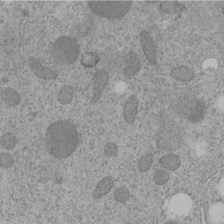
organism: C. elegans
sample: C. elegans embryo early stage